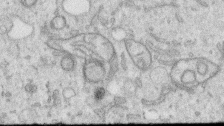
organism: Human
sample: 1205lu cells